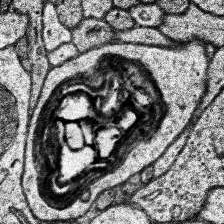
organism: Human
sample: Temporal Lobe